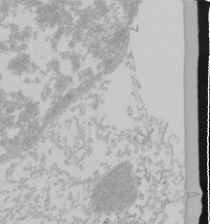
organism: Mouse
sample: Cancer cell death in ED-1 cells